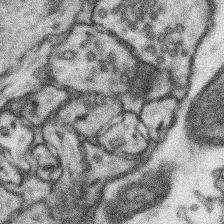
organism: Mouse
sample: Somatosensory cortex neuropil